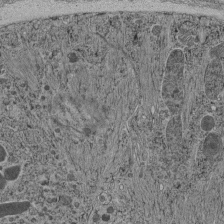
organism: C. elegans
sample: C. elegans pharynx